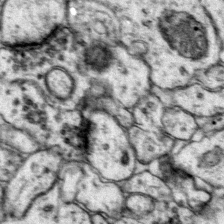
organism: Mouse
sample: Primary visual cortex